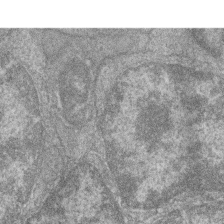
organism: Zebrafish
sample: Cilia; retinal pigment epithelium